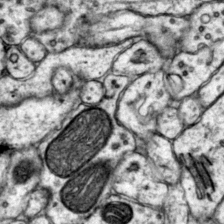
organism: Mouse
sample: Primary visual cortex